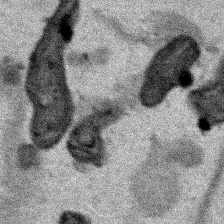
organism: Human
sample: Mitochondria in HCT116 cells